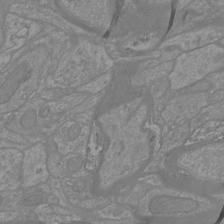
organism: Mouse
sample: Cortical neurons